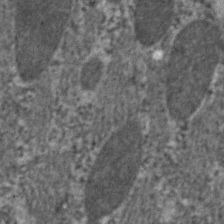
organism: C. elegans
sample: Pharynx